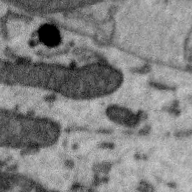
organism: Zebra finch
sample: Brain